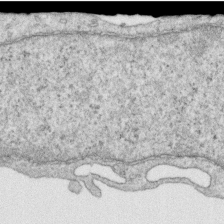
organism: Human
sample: Centriole in RPE cells